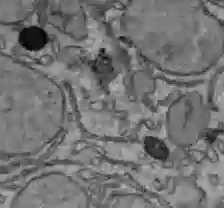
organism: C57BL Mouse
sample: Liver